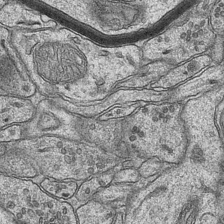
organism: Mouse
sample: CA1 Hippocampus